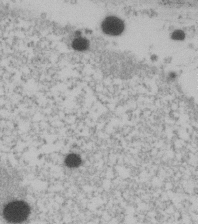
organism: Human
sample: U2-OS cells